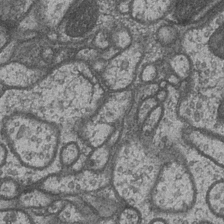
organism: Drosophila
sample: Optic medulla